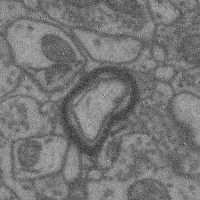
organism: Mouse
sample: Cerebral cortex